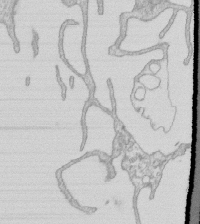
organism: Mouse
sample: Macrophages